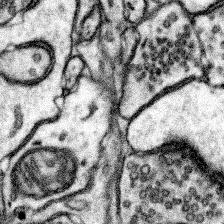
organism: Mouse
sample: Somatosensory cortex neuropil